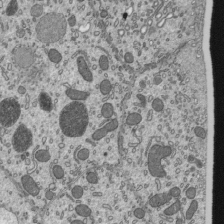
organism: Mouse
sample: Mouse epididymis efferent ductule cilia